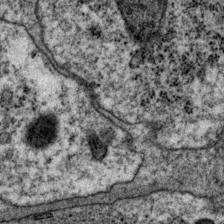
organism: P. pacificus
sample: Pharynx